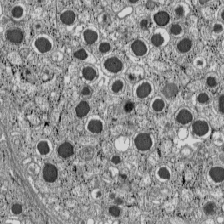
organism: C57BL Mouse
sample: Pancreatic islet